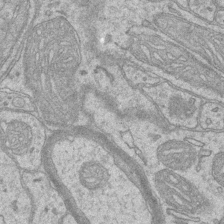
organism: Mouse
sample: CA1 Hippocampus